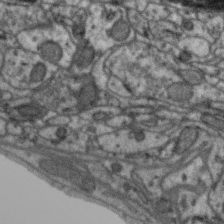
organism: Zebra finch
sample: Brain